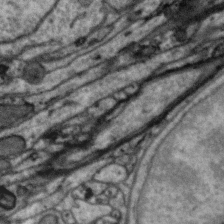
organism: Zebra finch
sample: Brain